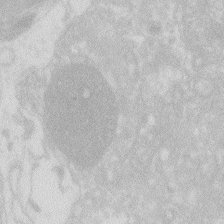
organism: Zebrafish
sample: Macrophage